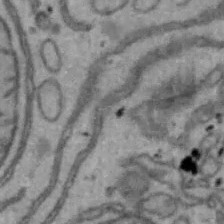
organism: Mouse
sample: Liver